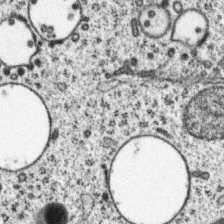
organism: Human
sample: HeLa cells